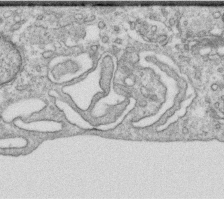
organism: Human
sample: Centriole in RPE cells